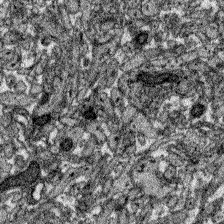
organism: Zebrafish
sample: Larval olfactory bulb